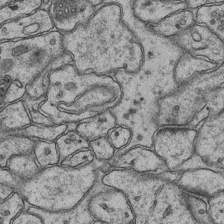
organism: Mouse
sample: CA1 Hippocampus